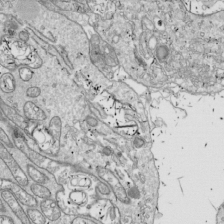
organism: Drosophila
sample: Cell division; meiosis; drosophila spermatocytes